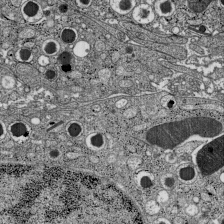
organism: C57BL Mouse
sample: Pancreatic islet